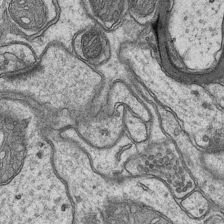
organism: Mouse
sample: CA1 Hippocampus